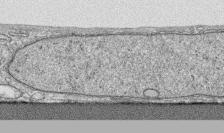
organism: Human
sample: CRL-1474